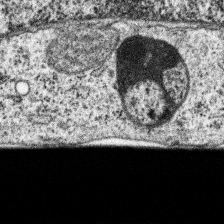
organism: Human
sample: HeLa cells